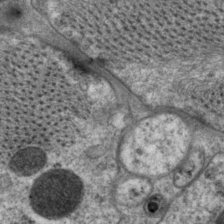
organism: P. pacificus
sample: Pharynx